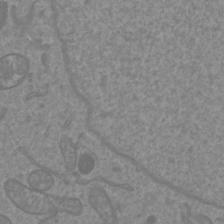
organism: Mouse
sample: Cortical neurons